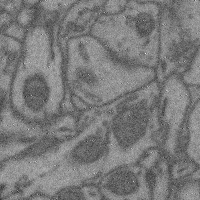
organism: Mouse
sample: Cerebral cortex